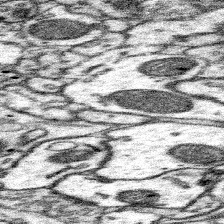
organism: Mouse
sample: Somatosensory cortex neuropil